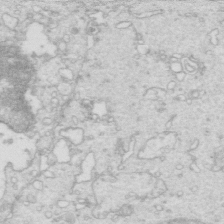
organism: Mouse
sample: Multiciliated cells